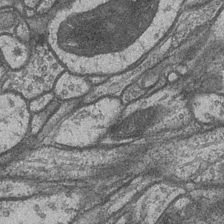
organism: Drosophila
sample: Optic medulla